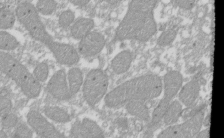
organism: Xenopus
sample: Cilia; centrioles in frog embryo cells